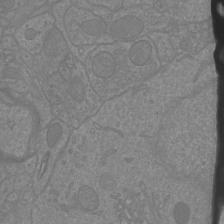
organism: Mouse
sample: Cortical neurons